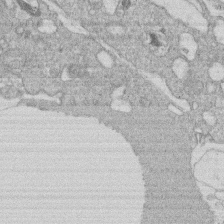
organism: Human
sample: Macrophage cells